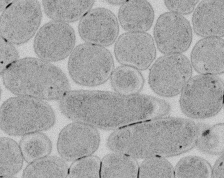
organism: E. coli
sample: Bacterial nucleoid